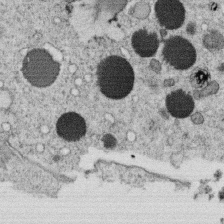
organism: C. elegans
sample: C. elegans oocyte; sperm cells